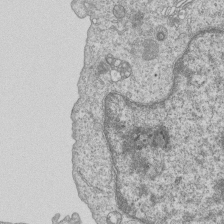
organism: Human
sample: MDA-MB-231 cells